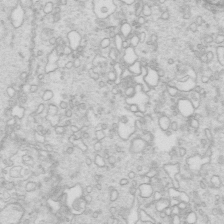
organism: Mouse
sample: Multiciliated cells